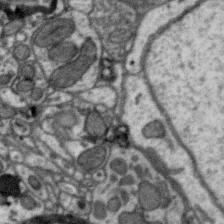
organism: Zebra finch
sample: Brain